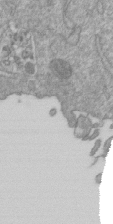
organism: Mouse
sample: ED-1 cell nuclei; centrioles